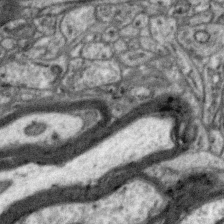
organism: Zebra finch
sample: Brain